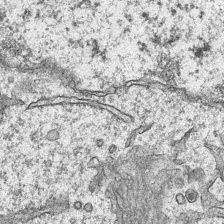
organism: Mouse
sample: CA1 Hippocampus